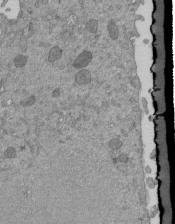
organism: Mouse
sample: ED-1 cell nuclei; centrioles